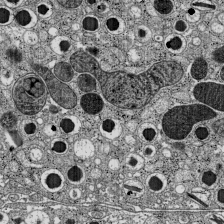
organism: C57BL Mouse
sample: Pancreatic islet